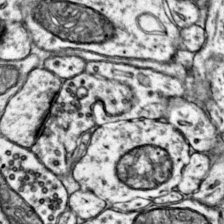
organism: Mouse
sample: Primary visual cortex